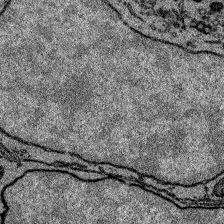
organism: Zebrafish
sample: Larval olfactory bulb